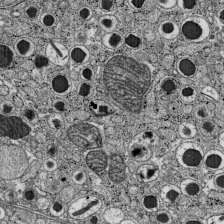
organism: C57BL Mouse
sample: Pancreatic islet